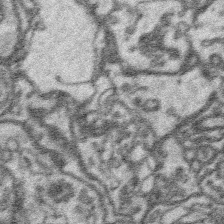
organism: Platynereis dumerilii